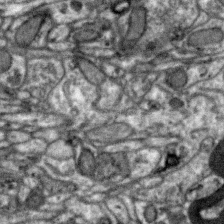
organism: Zebra finch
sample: Brain